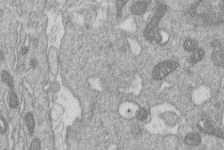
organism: Human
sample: Macrophage cells